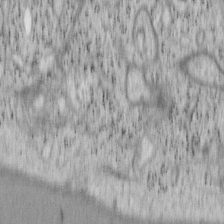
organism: Human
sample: HeLa cells